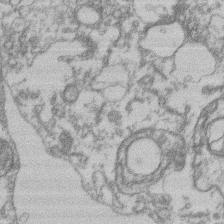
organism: Mouse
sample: T cell stromal cell synapse